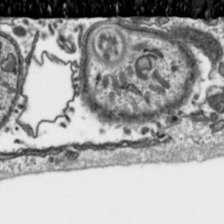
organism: Toxoplasma gondii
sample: Parasites in a vacuole inside a host cell